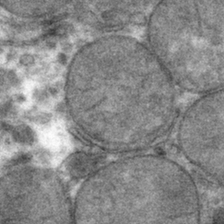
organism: Mouse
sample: Mouse hepatocytes